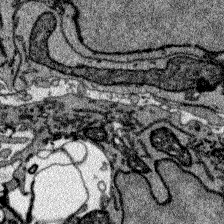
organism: Zebrafish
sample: Larval olfactory bulb